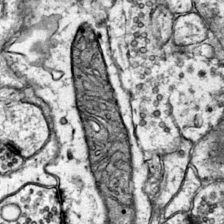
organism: Mouse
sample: Primary visual cortex